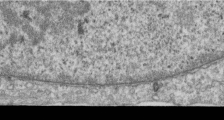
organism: Human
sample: Centriole in RPE cells